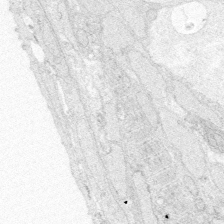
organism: Zebrafish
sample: Whole-Brain